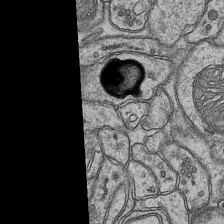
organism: Mouse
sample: CA1 Hippocampus